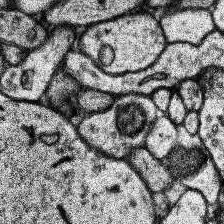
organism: Human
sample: Temporal Lobe